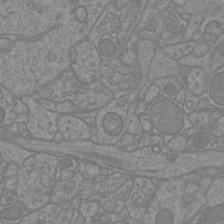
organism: Mouse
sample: Cortical neurons